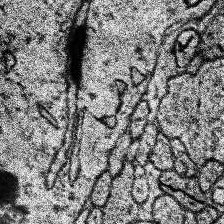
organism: Human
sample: Temporal Lobe